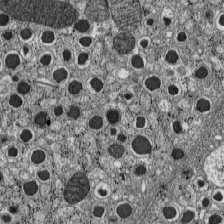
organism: C57BL Mouse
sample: Pancreatic islet